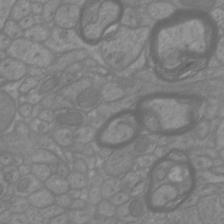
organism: Mouse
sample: Cortical neurons